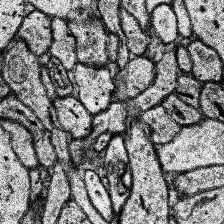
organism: Human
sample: Temporal Lobe